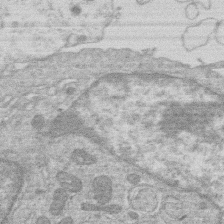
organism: Human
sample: Macrophage cells